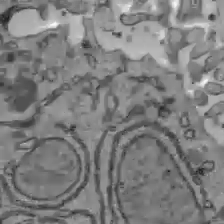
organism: C57BL Mouse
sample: Liver